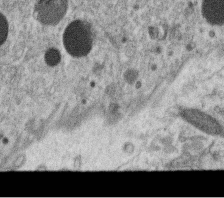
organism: C. elegans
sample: C. elegans oocyte; sperm cells